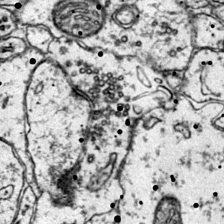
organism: Mouse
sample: Primary visual cortex